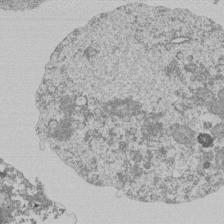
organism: Mouse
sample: Activated Pmel transgenic CD8+ T Cells